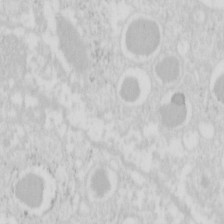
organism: Mouse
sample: Pancreas